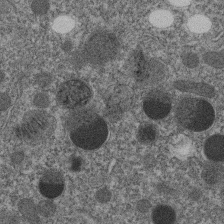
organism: C. elegans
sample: C. elegans embryo early stage